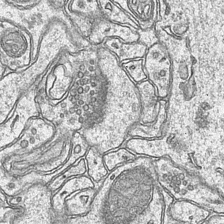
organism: Mouse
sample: CA1 Hippocampus